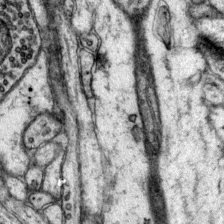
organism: Mouse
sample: Primary visual cortex